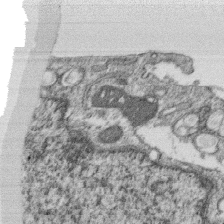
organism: African green monkey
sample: Vero E6 cells infected with SARS-CoV-2